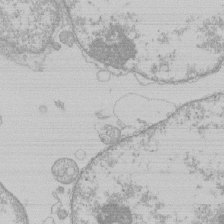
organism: Human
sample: Macrophage cells